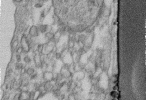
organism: Human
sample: Centriole in fibroblast cells